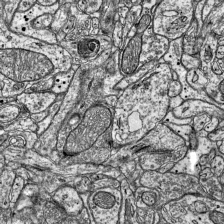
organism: Mouse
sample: Visual Cortex